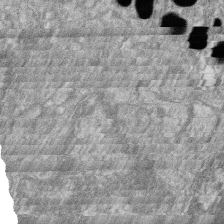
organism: Zebrafish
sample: Cilia; retinal pigment epithelium